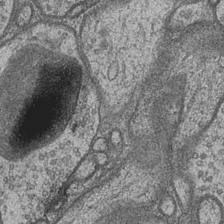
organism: Drosophila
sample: Optic medulla